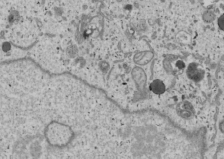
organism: Human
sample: Mitochondria in U2OS cells